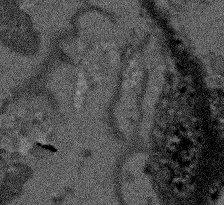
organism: Arabidopsis thaliana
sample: Root tip